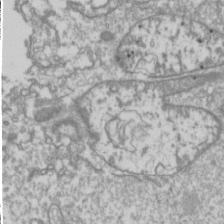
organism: Drosophila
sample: Cell division; meiosis; drosophila spermatocytes